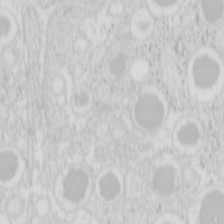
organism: Mouse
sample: Pancreas